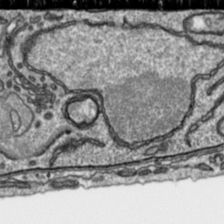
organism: Toxoplasma gondii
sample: Parasites in a vacuole inside a host cell